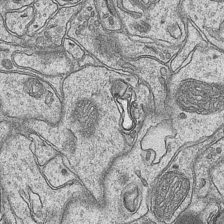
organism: Mouse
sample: CA1 Hippocampus